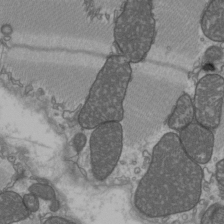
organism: C57BL Mouse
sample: Heart